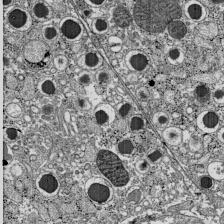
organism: C57BL Mouse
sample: Pancreatic islet